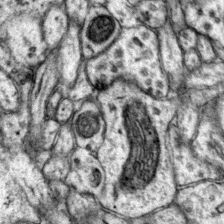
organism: Mouse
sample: Primary visual cortex